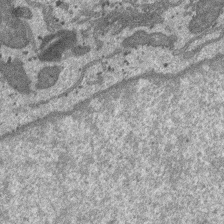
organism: Human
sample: Lung epithelial cells infected with SARS-CoV-2